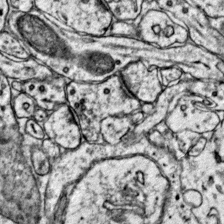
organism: Mouse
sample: Primary visual cortex